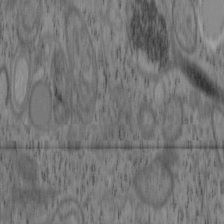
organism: Human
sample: HeLa cells